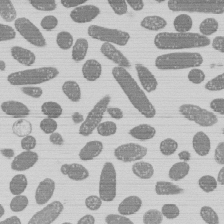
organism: E. coli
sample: Bacterial nucleoid